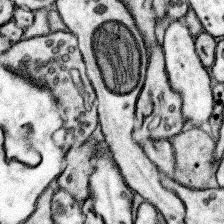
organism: Mouse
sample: Somatosensory cortex neuropil